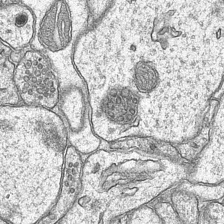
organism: Mouse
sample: CA1 Hippocampus